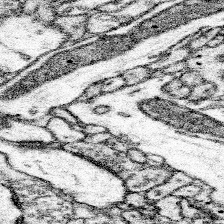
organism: Mouse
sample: Somatosensory cortex neuropil